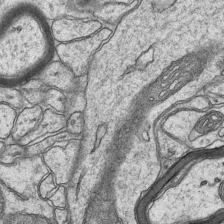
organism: Mouse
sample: CA1 Hippocampus